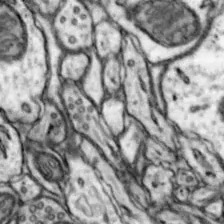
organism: Mouse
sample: Nucleus accumbens